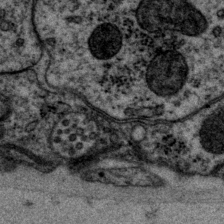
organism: P. pacificus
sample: Pharynx